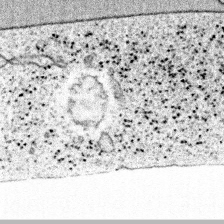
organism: Human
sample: HeLa cells